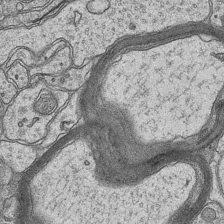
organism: Mouse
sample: CA1 Hippocampus